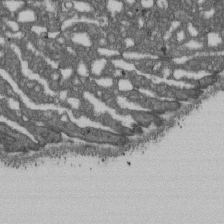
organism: Drosophila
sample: Nephrocyte